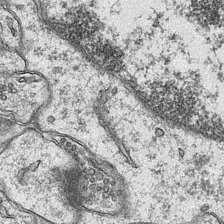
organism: Mouse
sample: CA1 Hippocampus